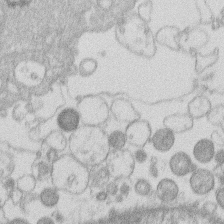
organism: Human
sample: Macrophage cells